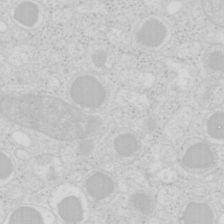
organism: Mouse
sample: Pancreas